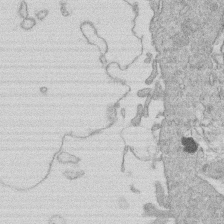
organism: Human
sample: Macrophage cells